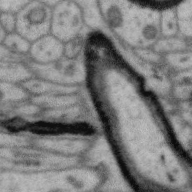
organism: Zebra finch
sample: Brain